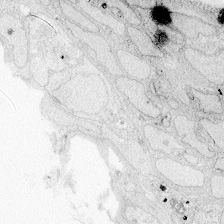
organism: Zebrafish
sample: Whole-Brain